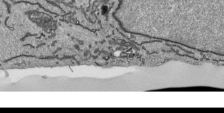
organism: Human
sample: Mitochondria in HCT116 cells